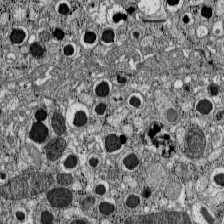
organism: C57BL Mouse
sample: Pancreatic islet